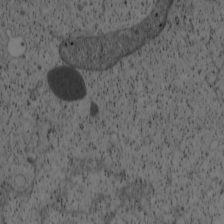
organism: African green monkey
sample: COS-7 cells